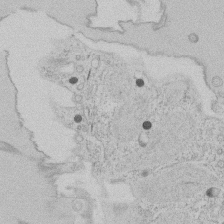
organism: Tetrahymena